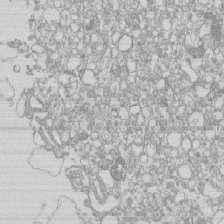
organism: Mouse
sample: Macrophages